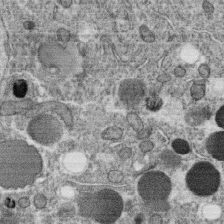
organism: C. elegans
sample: C. elegans oocyte; sperm cells